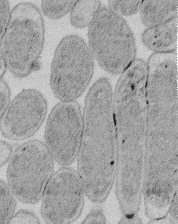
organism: E. coli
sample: Bacterial nucleoid